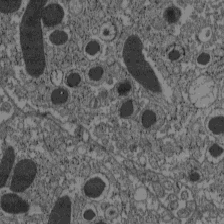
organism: C57BL Mouse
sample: Pancreatic islet